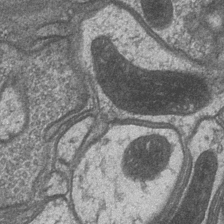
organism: Drosophila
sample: Optic medulla